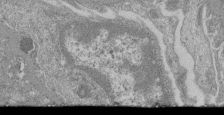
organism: Mouse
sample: Glomerulus